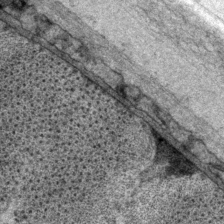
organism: P. pacificus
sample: Pharynx